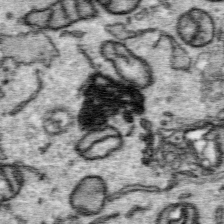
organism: Human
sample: HeLa cells